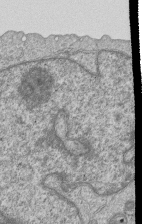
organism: Human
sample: MDA-MB-231 cells